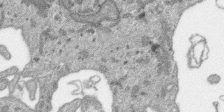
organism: Human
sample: Lung epithelial cells infected with SARS-CoV-2